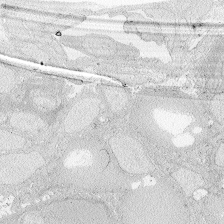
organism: Zebrafish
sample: Whole-Brain